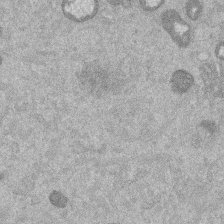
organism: Mouse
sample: Dividing mouse embryo 1 cell stage